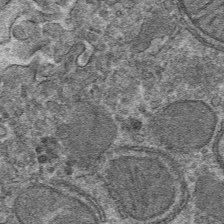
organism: Mouse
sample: Mouse hepatocytes